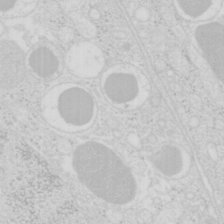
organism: Mouse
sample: Pancreas